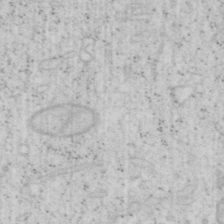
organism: Human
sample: HeLa cells